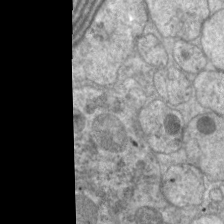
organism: C. elegans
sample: Pharynx